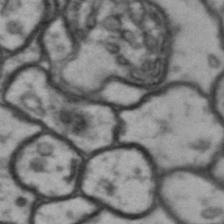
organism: Drosophila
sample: Brain